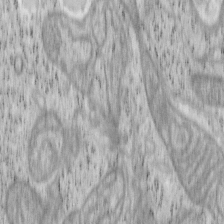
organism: Human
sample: HeLa cells